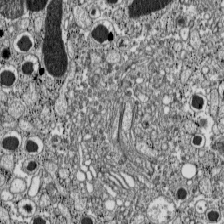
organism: C57BL Mouse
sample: Pancreatic islet